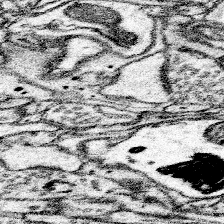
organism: Mouse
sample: Somatosensory cortex neuropil